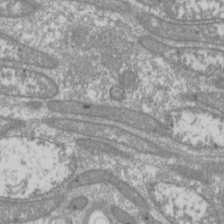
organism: Drosophila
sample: Cell division; meiosis; drosophila spermatocytes